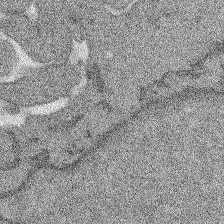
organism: Human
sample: HeLa cells